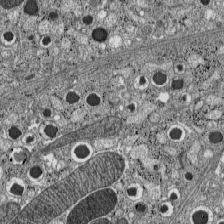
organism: C57BL Mouse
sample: Pancreatic islet